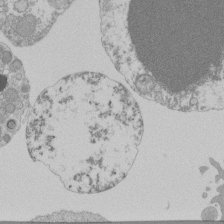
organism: Mouse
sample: Activated Pmel transgenic CD8+ T Cells